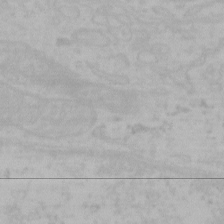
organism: Mouse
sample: Choroid plexus